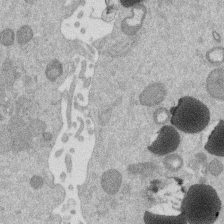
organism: Mouse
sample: Dividing mouse embryo 1 cell stage